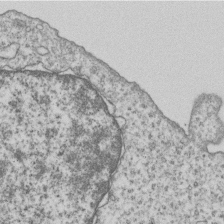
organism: Human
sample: MDA-MB-231 cells